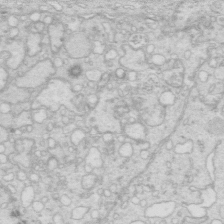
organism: Mouse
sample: Multiciliated cells